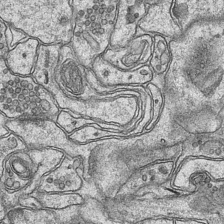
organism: Mouse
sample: CA1 Hippocampus